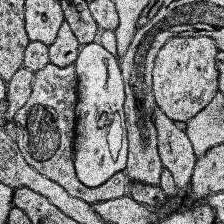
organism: Human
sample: Temporal Lobe